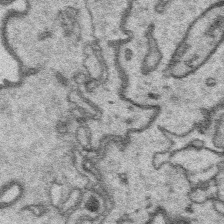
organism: Platynereis dumerilii